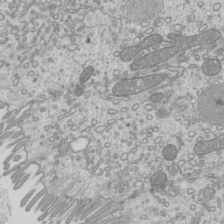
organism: Mouse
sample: Cilia; mouse epididymis